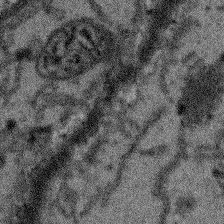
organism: Arabidopsis thaliana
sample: Root tip